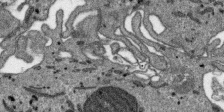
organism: Human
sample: Lung epithelial cells, uninfected (mock) control